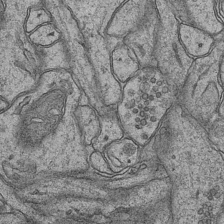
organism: Mouse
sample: CA1 Hippocampus